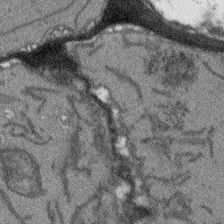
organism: Arabidopsis thaliana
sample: Root tip